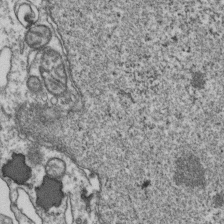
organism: Human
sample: Activated Jurkat CD4+ T cells